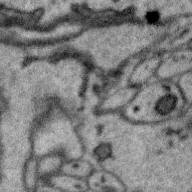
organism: Zebra finch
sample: Brain